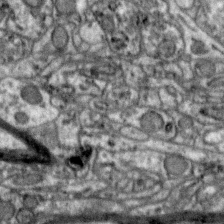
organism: Zebra finch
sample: Brain